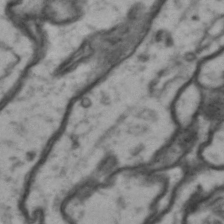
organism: Drosophila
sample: Brain